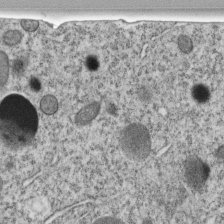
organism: C. elegans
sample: C. elegans embryo early stage